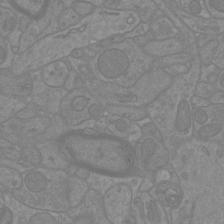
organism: Mouse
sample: Cortical neurons